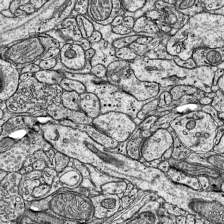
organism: Mouse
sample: Visual Cortex